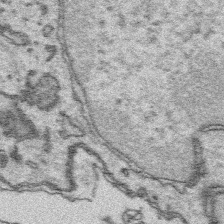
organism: Platynereis dumerilii